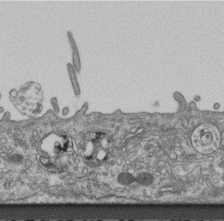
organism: Mouse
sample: Centriole in ependymal cells